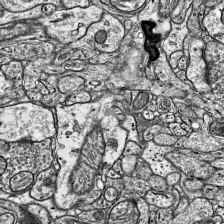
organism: Mouse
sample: Visual Cortex